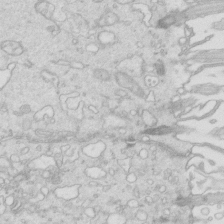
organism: Mouse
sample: Multiciliated cells